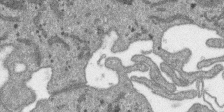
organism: Human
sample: Lung epithelial cells infected with SARS-CoV-2